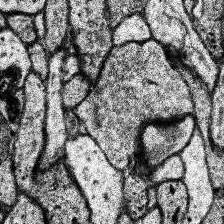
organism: Human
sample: Temporal Lobe